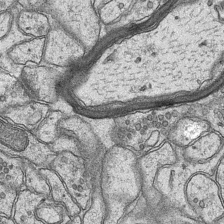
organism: Mouse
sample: CA1 Hippocampus